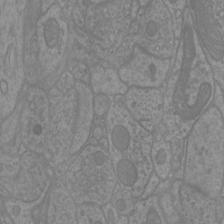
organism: Mouse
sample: Cortical neurons